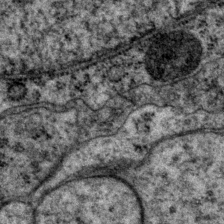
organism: P. pacificus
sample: Pharynx